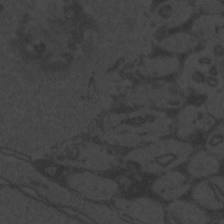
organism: Zebrafish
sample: Macrophage infected with Toxoplasma gondii